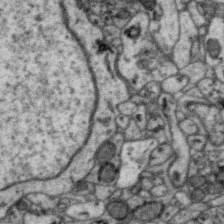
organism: Zebra finch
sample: Brain